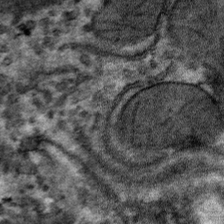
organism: Mouse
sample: Mouse hepatocytes